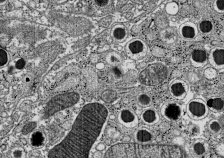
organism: C57BL Mouse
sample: Pancreatic islet